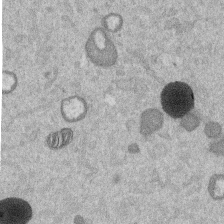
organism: Mouse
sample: Dividing mouse embryo 1 cell stage